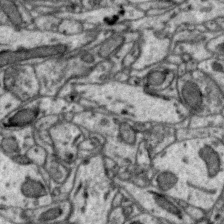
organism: Zebra finch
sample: Brain